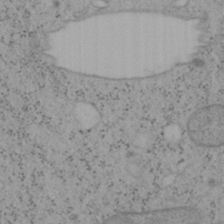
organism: Mouse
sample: OT-I killer T cells with ID8 ovarian cancer cells